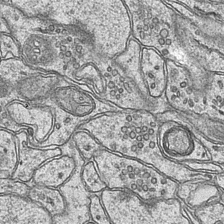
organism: Mouse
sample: CA1 Hippocampus